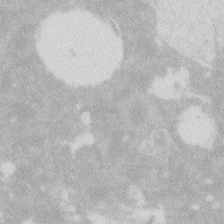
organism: Zebrafish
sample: Macrophage